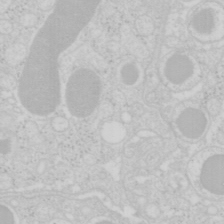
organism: Mouse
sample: Pancreas